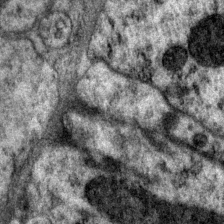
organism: P. pacificus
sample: Pharynx